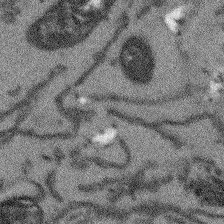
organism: Arabidopsis thaliana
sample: Root tip